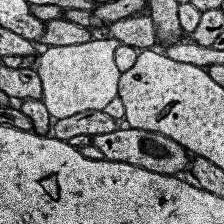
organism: Human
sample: Temporal Lobe